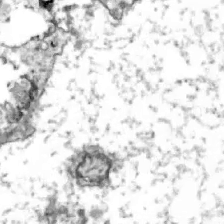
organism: Zebrafish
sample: Actinotrichia fibers